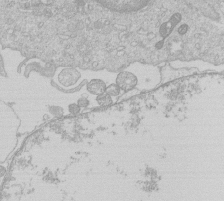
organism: Human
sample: Macrophage cells